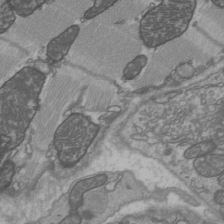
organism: C57BL Mouse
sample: Heart